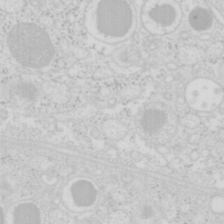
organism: Mouse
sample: Pancreas